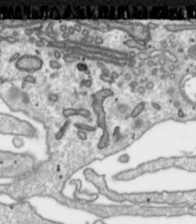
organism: Toxoplasma gondii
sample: Parasites in a vacuole inside a host cell